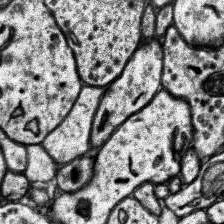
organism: Human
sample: Temporal Lobe